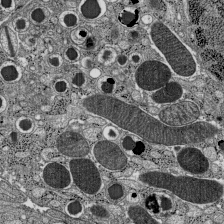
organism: C57BL Mouse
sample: Pancreatic islet